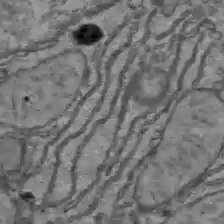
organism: C57BL Mouse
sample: Liver